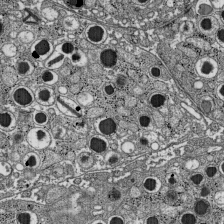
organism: C57BL Mouse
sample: Pancreatic islet